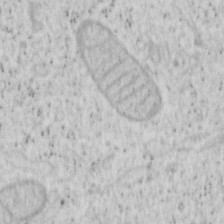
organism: Human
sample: HeLa cells